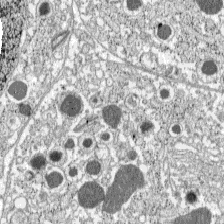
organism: C57BL Mouse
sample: Pancreatic islet